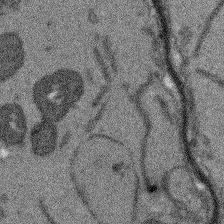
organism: Arabidopsis thaliana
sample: Root tip